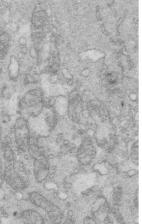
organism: Mouse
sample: Multiciliated cells